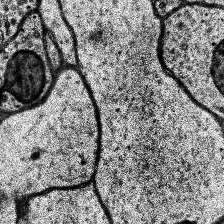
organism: Human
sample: Temporal Lobe